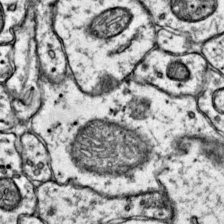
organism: Mouse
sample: Primary visual cortex